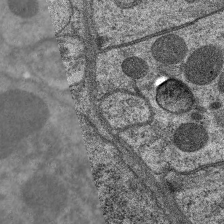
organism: C. elegans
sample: Pharynx